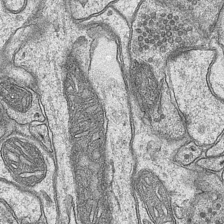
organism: Mouse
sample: CA1 Hippocampus